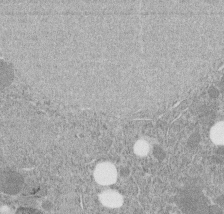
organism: C. elegans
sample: C. elegans embryo early stage